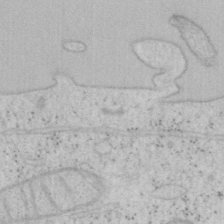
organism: Human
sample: HeLa cells